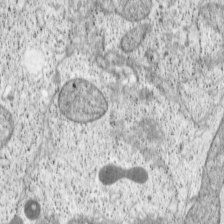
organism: African green monkey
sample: COS-7 cells